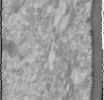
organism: Human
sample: Cilia; basal body in RPE cells